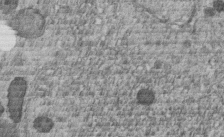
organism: C. elegans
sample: C. elegans embryo early stage